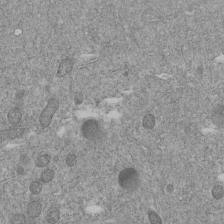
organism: C. elegans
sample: C. elegans embryo early stage